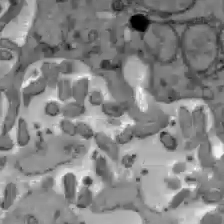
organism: C57BL Mouse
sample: Liver